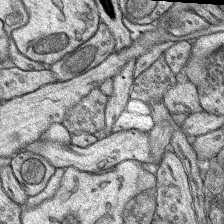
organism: Rat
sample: Hippocampus